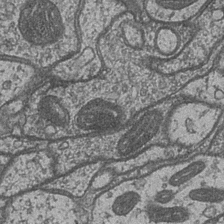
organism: Drosophila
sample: Optic medulla